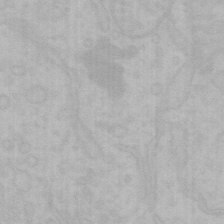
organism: Mouse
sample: Choroid plexus